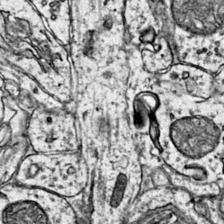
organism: Mouse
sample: Primary visual cortex